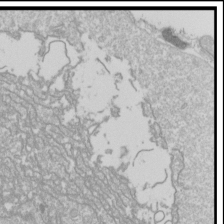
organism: Drosophila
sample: Cell division; meiosis; drosophila spermatocytes